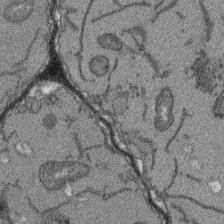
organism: Arabidopsis thaliana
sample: Root tip